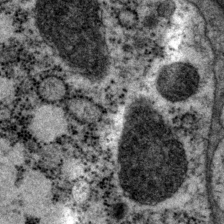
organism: P. pacificus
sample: Pharynx